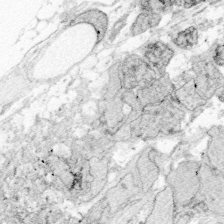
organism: Zebrafish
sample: Whole-Brain